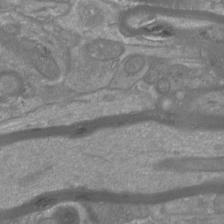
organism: Mouse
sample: Cortical neurons